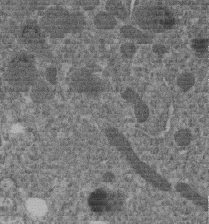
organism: C. elegans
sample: C. elegans embryo early stage